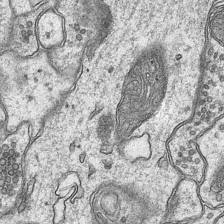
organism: Mouse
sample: CA1 Hippocampus